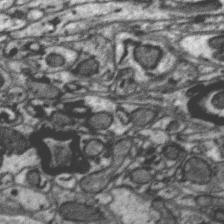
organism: Zebra finch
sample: Brain